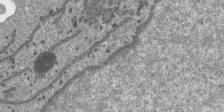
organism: Human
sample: Lung epithelial cells infected with SARS-CoV-2